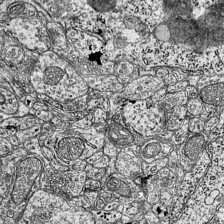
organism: Mouse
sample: Visual Cortex